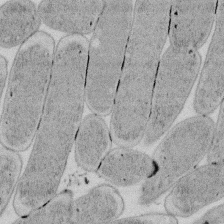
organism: E. coli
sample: Bacterial nucleoid